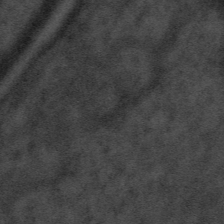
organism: Tuwongella immobilis